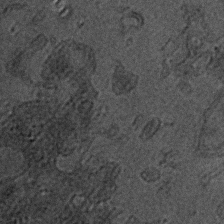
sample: Trachea